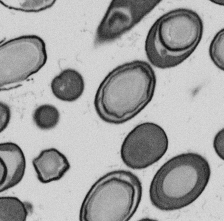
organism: B. subtilis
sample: Bacterial spore